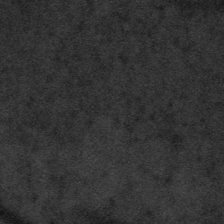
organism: Tuwongella immobilis